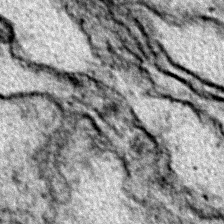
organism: Zebrafish